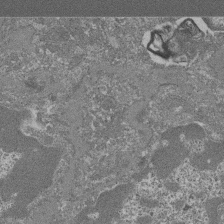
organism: Mouse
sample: Glomerulus